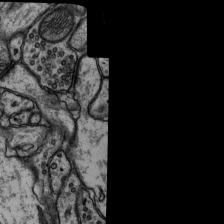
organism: Rat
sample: Hippocampus